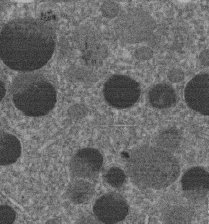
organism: C. elegans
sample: C. elegans embryo early stage